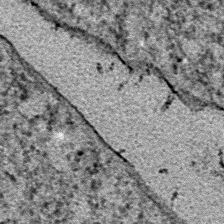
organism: E. coli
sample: E. Coli Bacteria